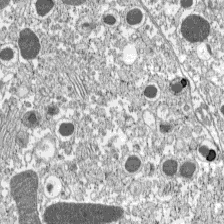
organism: C57BL Mouse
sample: Pancreatic islet